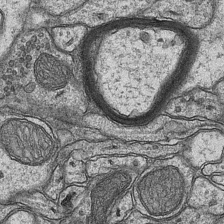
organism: Mouse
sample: CA1 Hippocampus